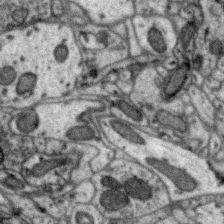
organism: Zebra finch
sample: Brain